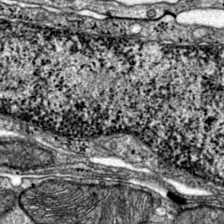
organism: Mouse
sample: Primary visual cortex